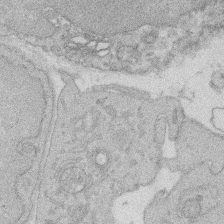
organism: Rat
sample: Salivary granule